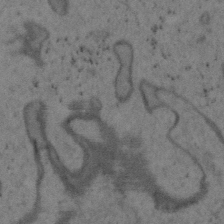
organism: Human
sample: HeLa cells